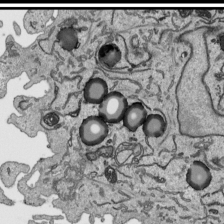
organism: Human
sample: Mitochondria in HCT116 cells